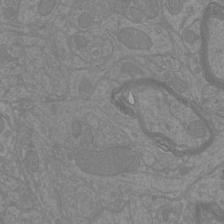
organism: Mouse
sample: Cortical neurons